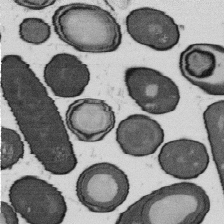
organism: B. subtilis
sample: Bacterial spore